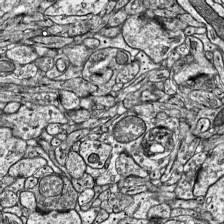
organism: Mouse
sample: Visual Cortex